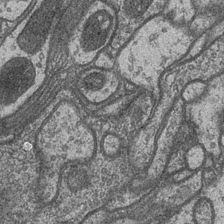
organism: Drosophila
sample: Optic medulla